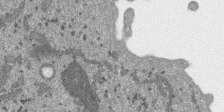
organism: Human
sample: Lung epithelial cells infected with SARS-CoV-2